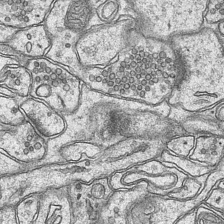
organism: Mouse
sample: CA1 Hippocampus